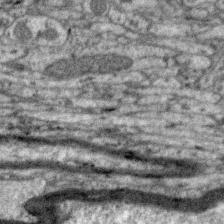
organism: Zebra finch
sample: Brain